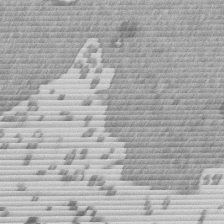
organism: Mouse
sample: Dividing mouse embryo 1 cell stage